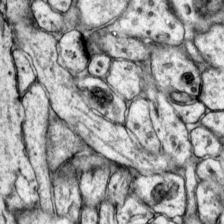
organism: Mouse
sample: Primary visual cortex